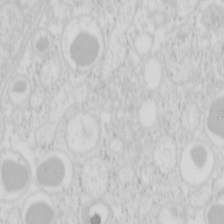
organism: Mouse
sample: Pancreas